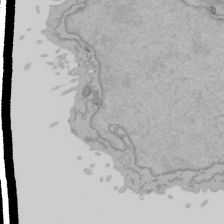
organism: Mouse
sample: Cancer cell death in ED-1 cells